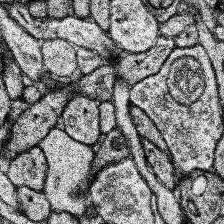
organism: Human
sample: Temporal Lobe